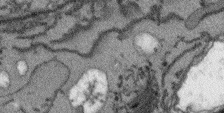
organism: Arabidopsis thaliana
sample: Root tip